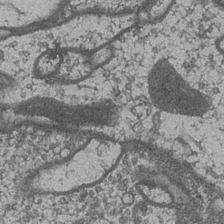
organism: Drosophila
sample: Optic medulla